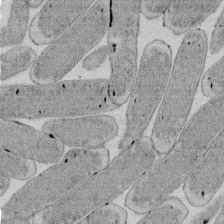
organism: E. coli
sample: Bacterial nucleoid